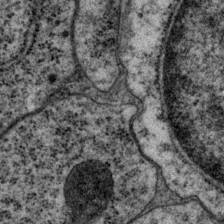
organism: P. pacificus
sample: Pharynx